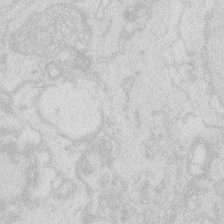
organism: Zebrafish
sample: Macrophage